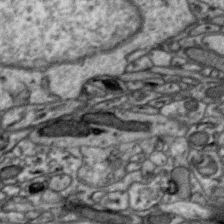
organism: Zebra finch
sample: Brain